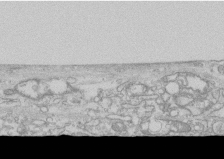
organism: Human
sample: CRL-1474